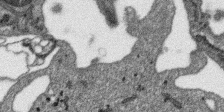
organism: Human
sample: Lung epithelial cells infected with SARS-CoV-2